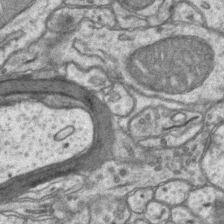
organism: Mouse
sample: CA1 Hippocampus